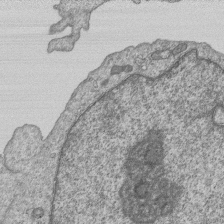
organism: Human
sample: MDA-MB-231 cells